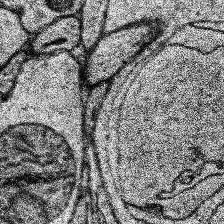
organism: Human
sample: Temporal Lobe